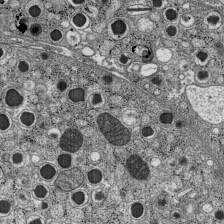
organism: C57BL Mouse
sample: Pancreatic islet